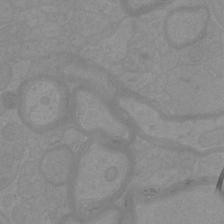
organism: Mouse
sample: Cortical neurons